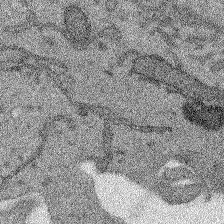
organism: Human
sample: HeLa cells